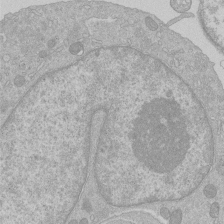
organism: Human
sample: Macrophage cells